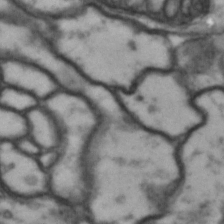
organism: Drosophila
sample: Brain